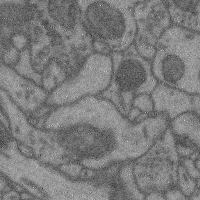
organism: Mouse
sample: Cerebral cortex